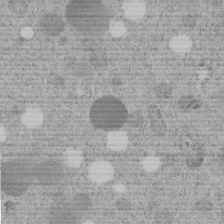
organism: C. elegans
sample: C. elegans embryo early stage